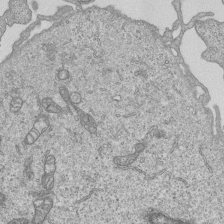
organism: Human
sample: MDA-MB-231 cells